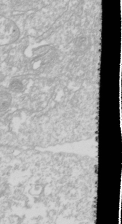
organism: Drosophila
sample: Cell division; meiosis; drosophila spermatocytes